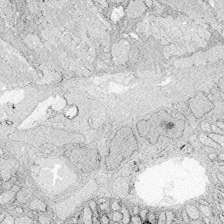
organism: Zebrafish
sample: Whole-Brain